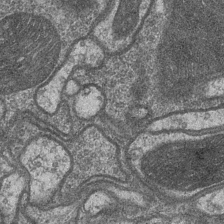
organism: Drosophila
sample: Optic medulla